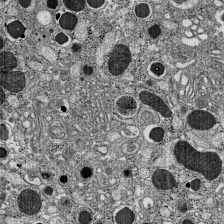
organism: C57BL Mouse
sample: Pancreatic islet